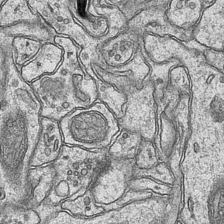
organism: Mouse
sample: CA1 Hippocampus